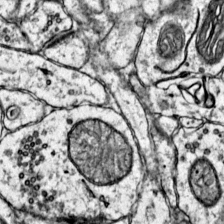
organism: Mouse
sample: Primary visual cortex